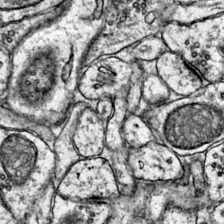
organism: Mouse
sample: Primary visual cortex